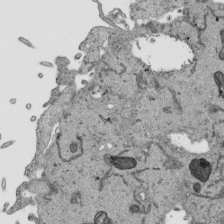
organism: Human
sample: Mitochondria in HCT116 cells